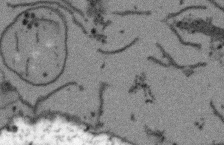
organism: Arabidopsis thaliana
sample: Root tip